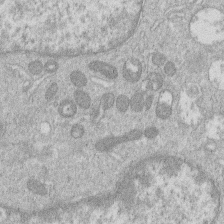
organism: Human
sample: Macrophage cells